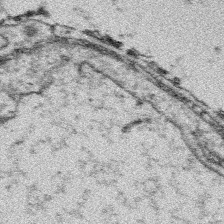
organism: Platynereis dumerilii